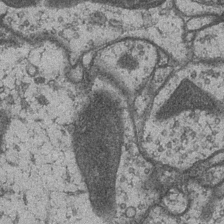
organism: Drosophila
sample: Optic medulla